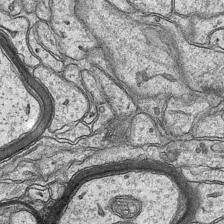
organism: Mouse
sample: CA1 Hippocampus